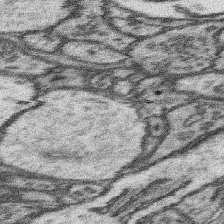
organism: Mouse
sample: Somatosensory cortex neuropil